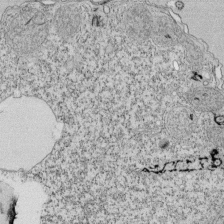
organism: Tetrahymena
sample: Cilia in tetrahymena